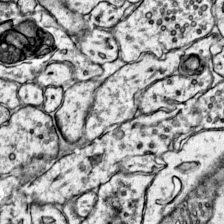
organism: Mouse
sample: Primary visual cortex